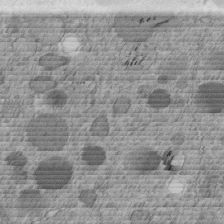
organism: C. elegans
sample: C. elegans embryo early stage